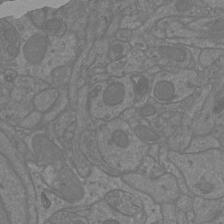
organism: Mouse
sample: Cortical neurons